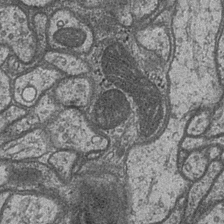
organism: Drosophila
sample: Optic medulla